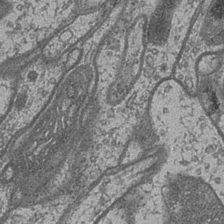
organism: Drosophila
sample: Optic medulla